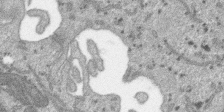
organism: Human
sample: Lung epithelial cells infected with SARS-CoV-2